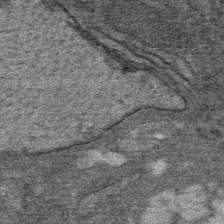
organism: Mouse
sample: Mouse Salivary gland